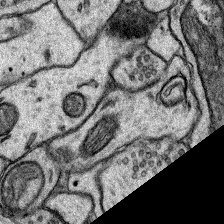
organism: Rat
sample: Hippocampus